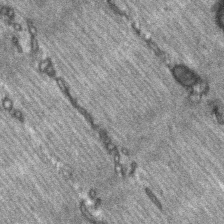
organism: C57BL Mouse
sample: Soleus